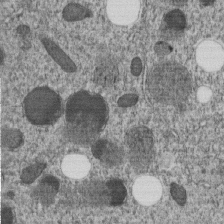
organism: C. elegans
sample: C. elegans embryo early stage